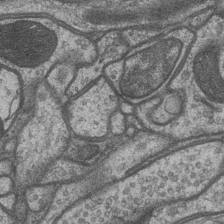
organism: Drosophila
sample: Optic medulla